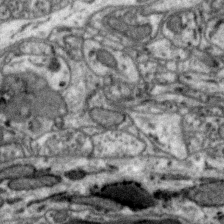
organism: Zebra finch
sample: Brain